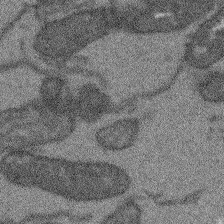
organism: Arabidopsis thaliana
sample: Root tip